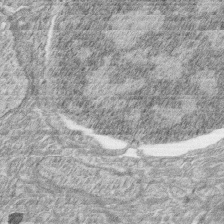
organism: Zebrafish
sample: synaptic ribbons in rod cells and cone cells